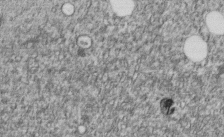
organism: C. elegans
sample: C. elegans embryo early stage